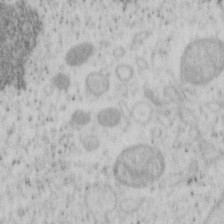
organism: Human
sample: HeLa cells